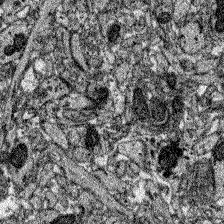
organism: Zebrafish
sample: Larval olfactory bulb